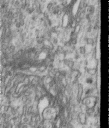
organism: Human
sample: Centriole in RPE cells